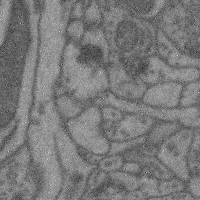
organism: Mouse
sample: Cerebral cortex